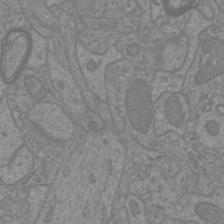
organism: Mouse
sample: Cortical neurons